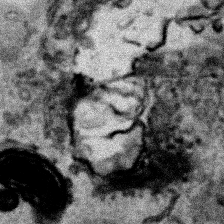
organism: Human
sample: Mitochondria in HCT116 cells